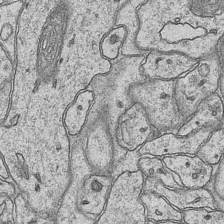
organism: Mouse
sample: CA1 Hippocampus